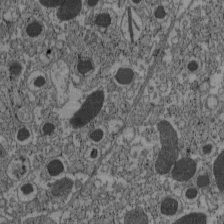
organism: C57BL Mouse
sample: Pancreatic islet